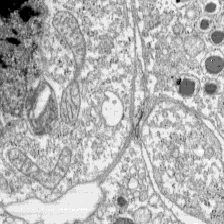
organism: C57BL Mouse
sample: Pancreatic islet